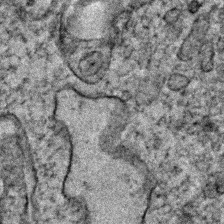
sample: Trachea